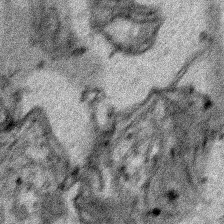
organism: Human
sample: Mitochondria in HCT116 cells